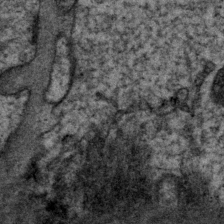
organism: P. pacificus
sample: Pharynx